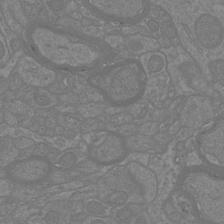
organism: Mouse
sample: Cortical neurons